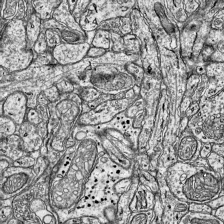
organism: Mouse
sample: Visual Cortex